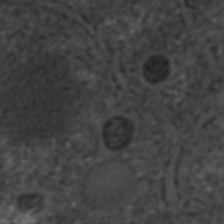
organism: C. elegans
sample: C. elegans embryo